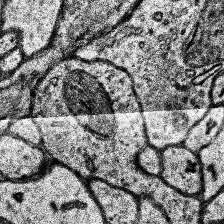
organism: Human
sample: Temporal Lobe